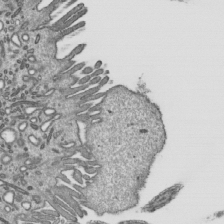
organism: Mouse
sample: Mouse epididymis efferent ductule cilia